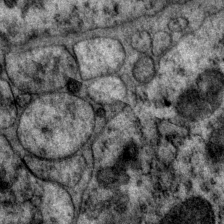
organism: P. pacificus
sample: Pharynx